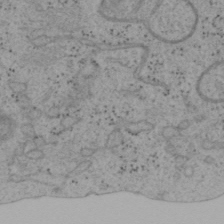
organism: Human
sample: HeLa cells